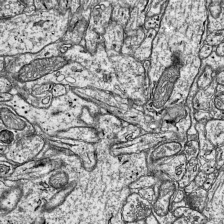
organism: Mouse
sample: Visual Cortex